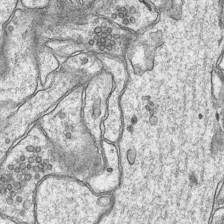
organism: Mouse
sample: CA1 Hippocampus